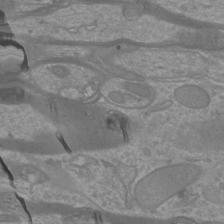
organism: Mouse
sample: Cortical neurons